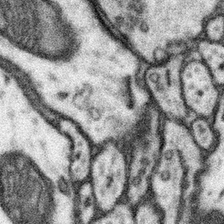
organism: Mouse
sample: Somatosensory cortex neuropil